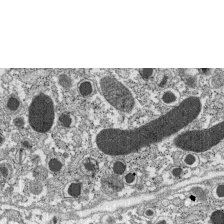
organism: C57BL Mouse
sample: Pancreatic islet